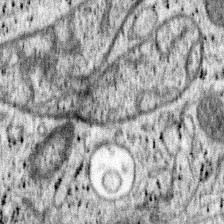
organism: Human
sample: HeLa cells